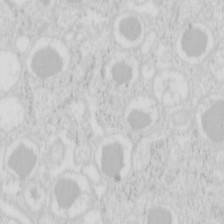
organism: Mouse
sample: Pancreas